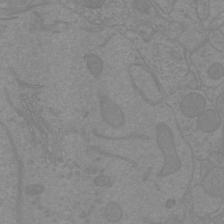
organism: Mouse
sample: Cortical neurons